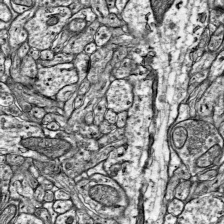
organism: Mouse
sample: Visual Cortex